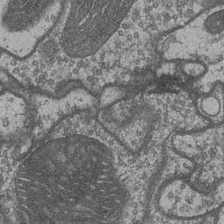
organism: Drosophila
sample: Optic medulla